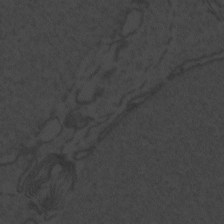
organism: Zebrafish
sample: Macrophage infected with Toxoplasma gondii